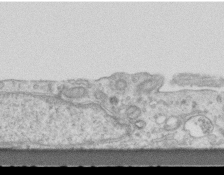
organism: Mouse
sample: Centriole in ependymal cells